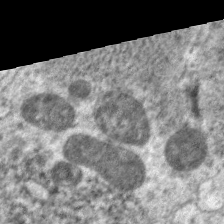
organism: C. elegans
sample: Pharynx